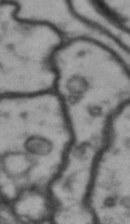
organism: Drosophila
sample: Brain